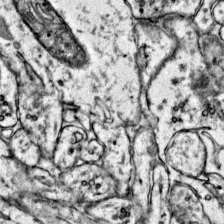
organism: Mouse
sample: Primary visual cortex